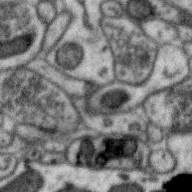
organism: Zebra finch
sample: Brain